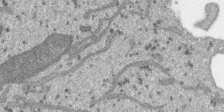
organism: Human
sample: Lung epithelial cells infected with SARS-CoV-2